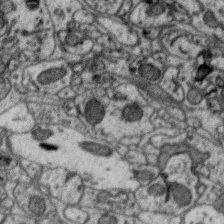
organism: Zebra finch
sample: Brain